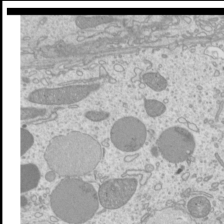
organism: Mouse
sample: Cilia; mouse epididymis